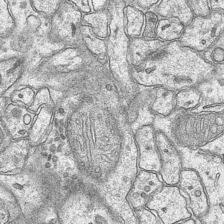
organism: Mouse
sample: CA1 Hippocampus